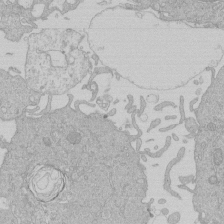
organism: Human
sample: Macrophage cells